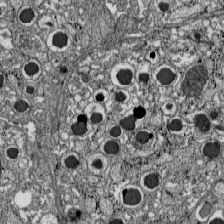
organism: C57BL Mouse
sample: Pancreatic islet